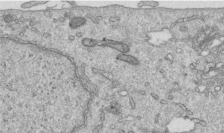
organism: Human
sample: Centriole in RPE cells